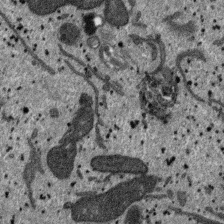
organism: Human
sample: Lung epithelial cells, uninfected (mock) control